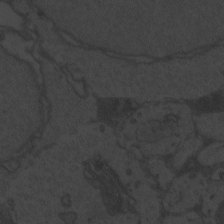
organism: Zebrafish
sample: Macrophage infected with Toxoplasma gondii